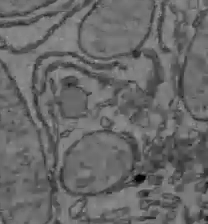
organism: C57BL Mouse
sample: Liver